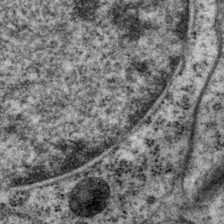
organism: P. pacificus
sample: Pharynx